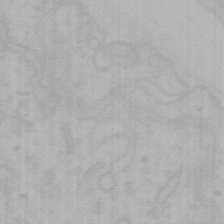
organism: Mouse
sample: Choroid plexus